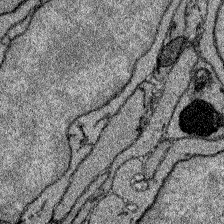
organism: Zebrafish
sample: Larval olfactory bulb